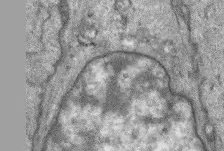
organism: Mouse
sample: Corneal nerves